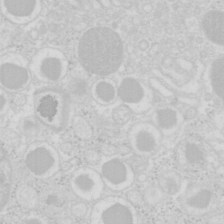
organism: Mouse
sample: Pancreas